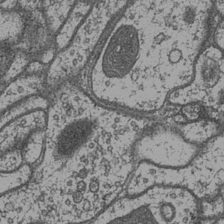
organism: Drosophila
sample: Optic medulla